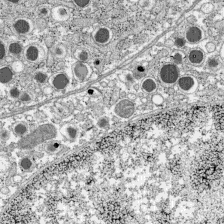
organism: C57BL Mouse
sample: Pancreatic islet